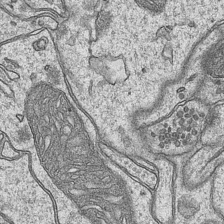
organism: Mouse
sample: CA1 Hippocampus